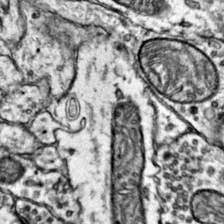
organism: Mouse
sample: Primary visual cortex